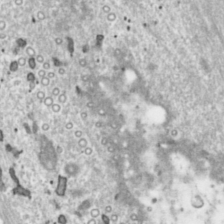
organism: Toxoplasma gondii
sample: Parasites in a vacuole inside a host cell